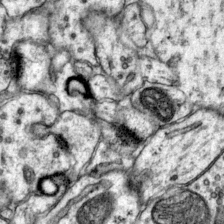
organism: Mouse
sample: Primary visual cortex